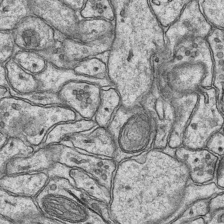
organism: Mouse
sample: CA1 Hippocampus